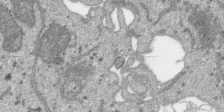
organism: Human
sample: Lung epithelial cells infected with SARS-CoV-2